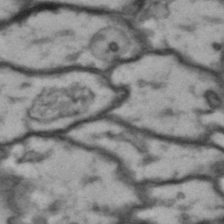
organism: Drosophila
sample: Brain